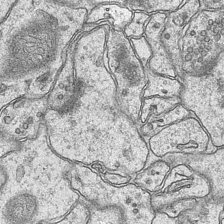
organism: Mouse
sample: CA1 Hippocampus